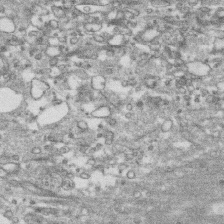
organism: Human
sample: CRL-1474